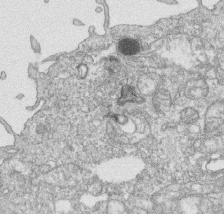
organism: Human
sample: HeLa cell HIV synapse